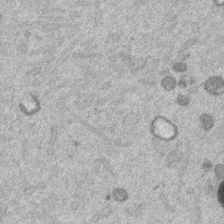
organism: Mouse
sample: Dividing mouse embryo 1 cell stage